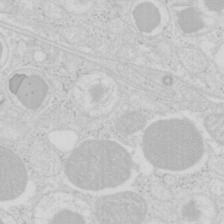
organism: Mouse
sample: Pancreas